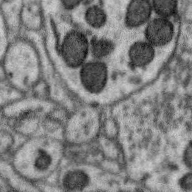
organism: Zebra finch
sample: Brain